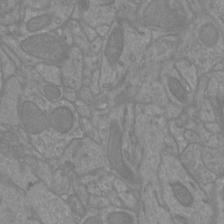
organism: Mouse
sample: Cortical neurons